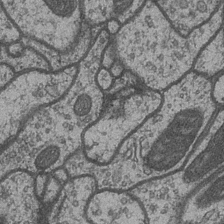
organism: Drosophila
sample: Optic medulla